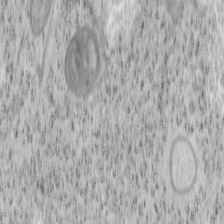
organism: Human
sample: HeLa cells